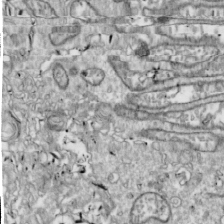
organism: Drosophila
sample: Cell division; meiosis; drosophila spermatocytes